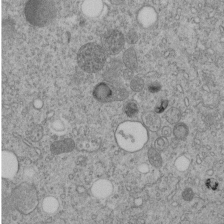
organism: C. elegans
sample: C. elegans embryo early stage